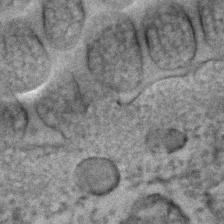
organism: C. elegans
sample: C. elegans embryo